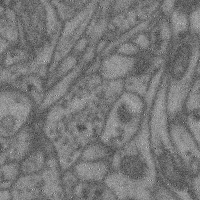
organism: Mouse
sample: Cerebral cortex